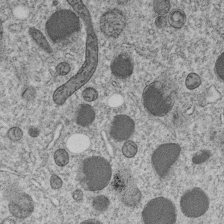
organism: C. elegans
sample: C. elegans embryo early stage